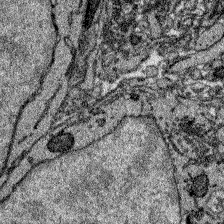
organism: Zebrafish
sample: Larval olfactory bulb